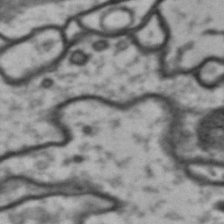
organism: Drosophila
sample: Brain